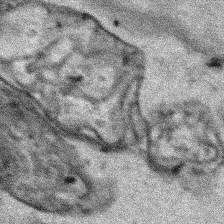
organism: Human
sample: Mitochondria in HCT116 cells